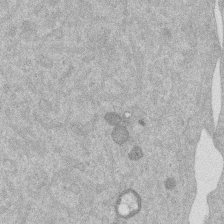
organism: Mouse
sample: Dividing mouse embryo 1 cell stage